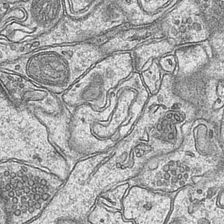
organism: Mouse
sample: CA1 Hippocampus